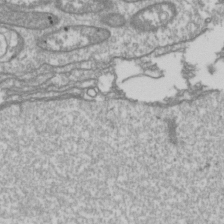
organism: Drosophila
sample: Cell division; meiosis; drosophila spermatocytes